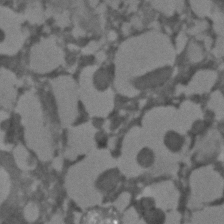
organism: C. elegans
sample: C. elegans embryo